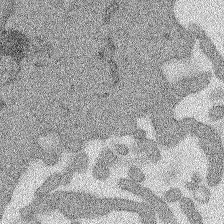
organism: Human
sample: HeLa cells